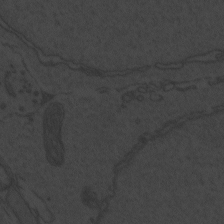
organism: Zebrafish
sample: Macrophage infected with Toxoplasma gondii